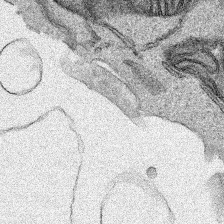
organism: Human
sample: Mitochondria in HCT116 cells